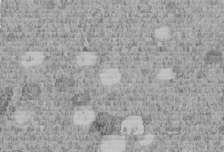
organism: C. elegans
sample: C. elegans embryo early stage